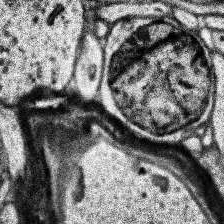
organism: Human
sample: Temporal Lobe